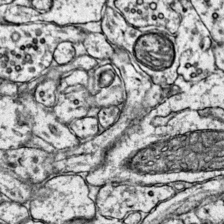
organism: Mouse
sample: Primary visual cortex